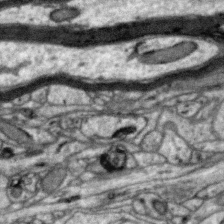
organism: Zebra finch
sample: Brain